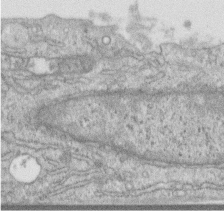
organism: Human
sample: Centriole in RPE cells